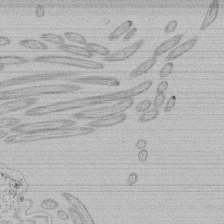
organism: Tetrahymena